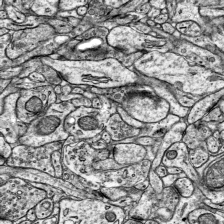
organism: Mouse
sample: Visual Cortex